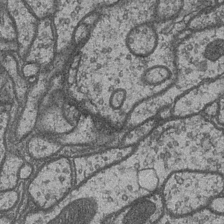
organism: Drosophila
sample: Optic medulla